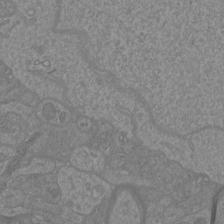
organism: Mouse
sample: Cortical neurons